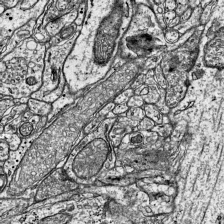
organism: Mouse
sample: Visual Cortex